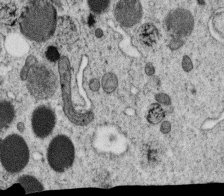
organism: C. elegans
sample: C. elegans oocyte; sperm cells